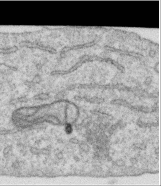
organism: Human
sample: Centriole in RPE cells